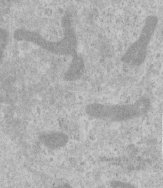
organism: Human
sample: Centriole in RPE cells